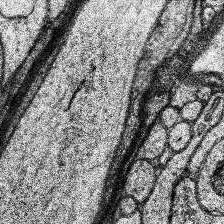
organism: Human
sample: Temporal Lobe